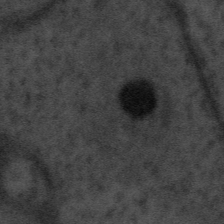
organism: Tuwongella immobilis